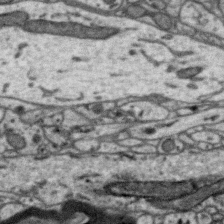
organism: Zebra finch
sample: Brain